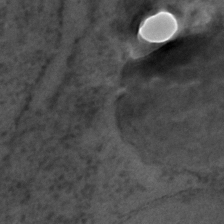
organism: C. elegans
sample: C. elegans embryo